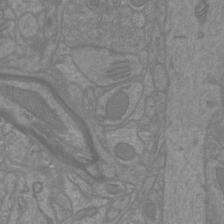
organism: Mouse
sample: Cortical neurons